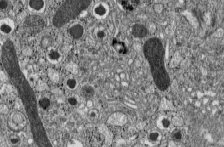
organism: C57BL Mouse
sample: Pancreatic islet